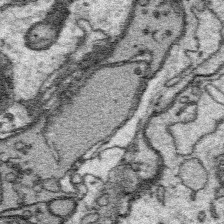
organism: Platynereis dumerilii